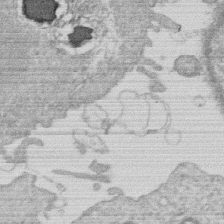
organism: Human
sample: Macrophage cells